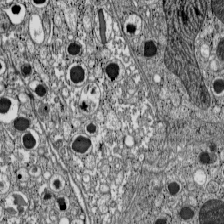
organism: C57BL Mouse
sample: Pancreatic islet